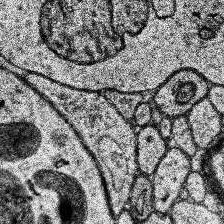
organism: Human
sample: Temporal Lobe